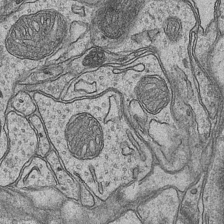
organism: Mouse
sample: CA1 Hippocampus